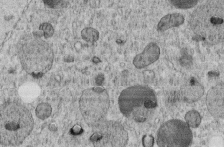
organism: C. elegans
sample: C. elegans embryo early stage